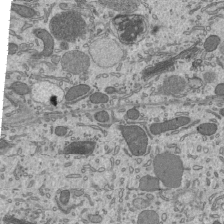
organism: Mouse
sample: Mouse epididymis efferent ductule cilia